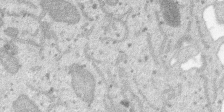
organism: Human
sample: Lung epithelial cells infected with SARS-CoV-2